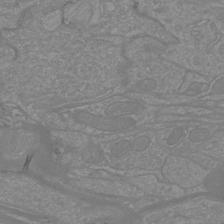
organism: Mouse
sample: Cortical neurons